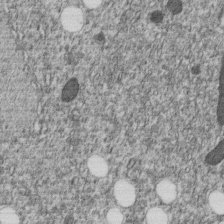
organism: C. elegans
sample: C. elegans embryo early stage